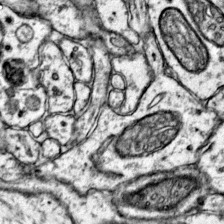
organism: Mouse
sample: Primary visual cortex